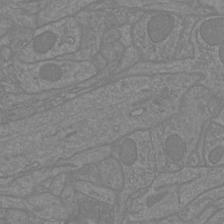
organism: Mouse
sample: Cortical neurons